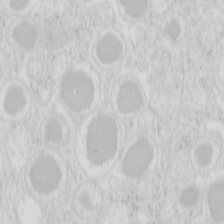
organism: Mouse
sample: Pancreas